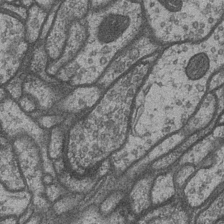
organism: Drosophila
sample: Optic medulla